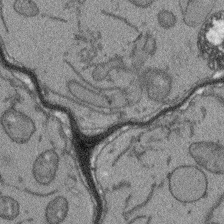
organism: Arabidopsis thaliana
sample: Root tip